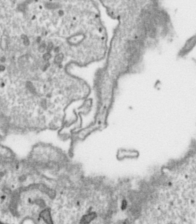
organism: Toxoplasma gondii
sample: Parasites in a vacuole inside a host cell